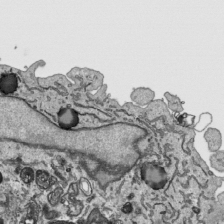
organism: Human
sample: Mitochondria in HCT116 cells